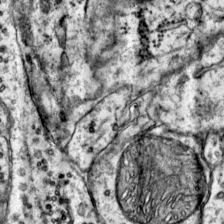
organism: Mouse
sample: Primary visual cortex